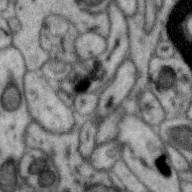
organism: Zebra finch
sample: Brain